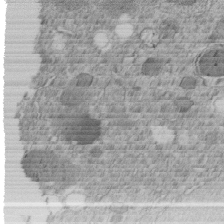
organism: C. elegans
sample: C. elegans embryo early stage